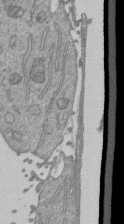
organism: Mouse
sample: ED-1 cell nuclei; centrioles